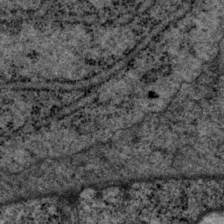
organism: P. pacificus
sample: Pharynx